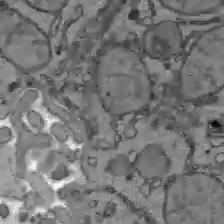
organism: C57BL Mouse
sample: Liver